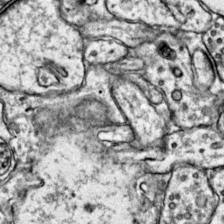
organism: Mouse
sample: Primary visual cortex